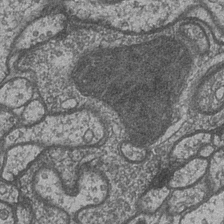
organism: Drosophila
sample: Optic medulla